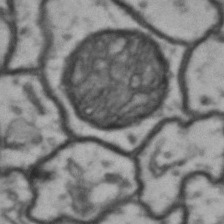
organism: Drosophila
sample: Brain